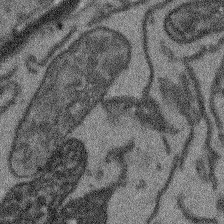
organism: Arabidopsis thaliana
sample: Root tip